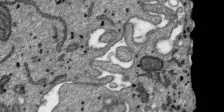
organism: Human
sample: Lung epithelial cells, uninfected (mock) control